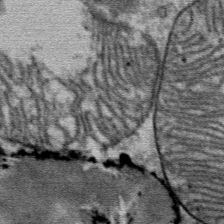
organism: Mouse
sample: Mouse Salivary gland